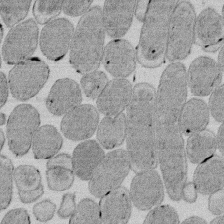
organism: E. coli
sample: Bacterial nucleoid